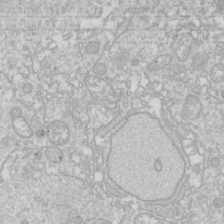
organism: Drosophila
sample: Cell division; meiosis; drosophila spermatocytes